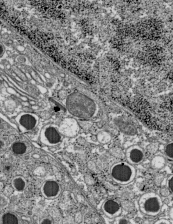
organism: C57BL Mouse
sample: Pancreatic islet